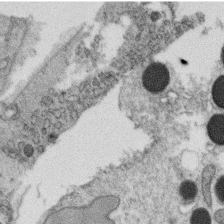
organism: C. elegans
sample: C. elegans oocyte; sperm cells